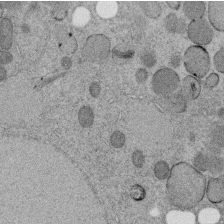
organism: C. elegans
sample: C. elegans embryo early stage